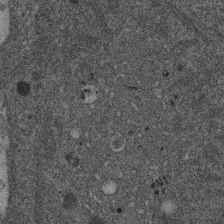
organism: Mouse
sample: Dividing mouse embryo 1 cell stage